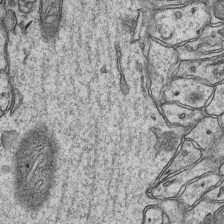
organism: Mouse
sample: CA1 Hippocampus